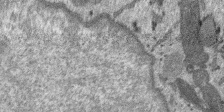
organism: Human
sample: Lung epithelial cells infected with SARS-CoV-2